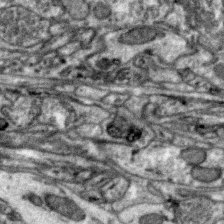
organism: Zebra finch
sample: Brain